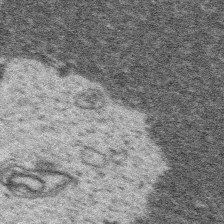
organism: Platynereis dumerilii